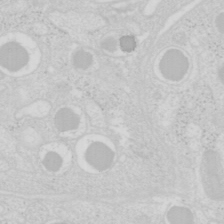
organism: Mouse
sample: Pancreas